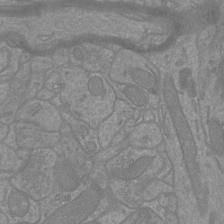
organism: Mouse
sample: Cortical neurons